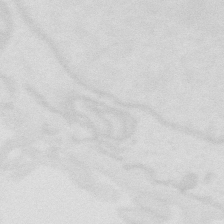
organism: Human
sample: HeLa cells